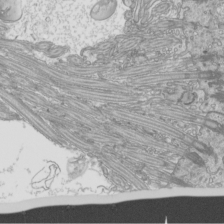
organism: Mouse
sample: Cilia; mouse epididymis